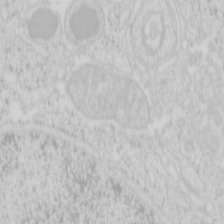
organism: Mouse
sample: Pancreas